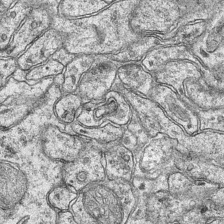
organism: Mouse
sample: CA1 Hippocampus